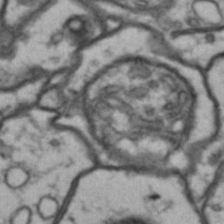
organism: Drosophila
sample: Brain